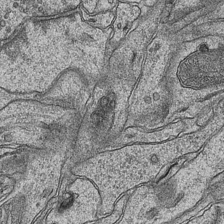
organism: Mouse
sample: CA1 Hippocampus